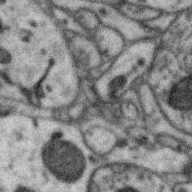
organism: Zebra finch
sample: Brain